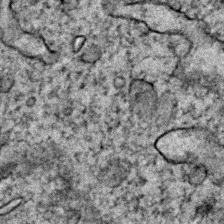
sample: Trachea